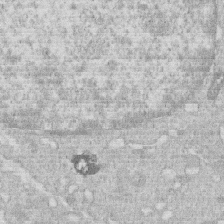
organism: Human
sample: Macrophage cells